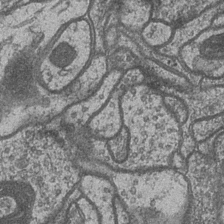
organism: Drosophila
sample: Optic medulla